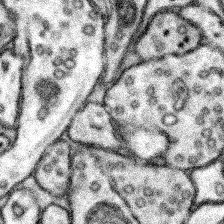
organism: Mouse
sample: Somatosensory cortex neuropil